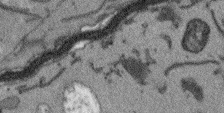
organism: Arabidopsis thaliana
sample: Root tip